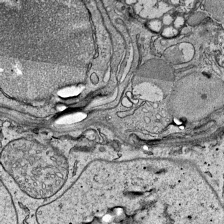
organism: Mouse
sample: Visual Cortex